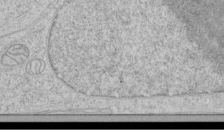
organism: Human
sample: Mitochondria in HCT116 cells